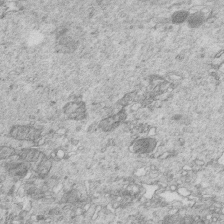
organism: Mouse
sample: Multiciliated cells